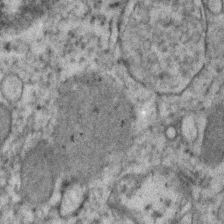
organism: Human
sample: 1205lu cells